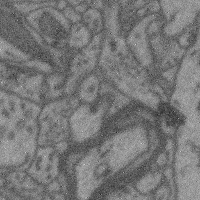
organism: Mouse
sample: Cerebral cortex